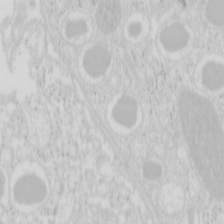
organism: Mouse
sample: Pancreas